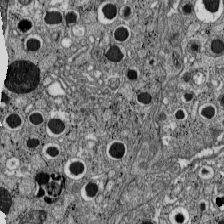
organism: C57BL Mouse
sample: Pancreatic islet